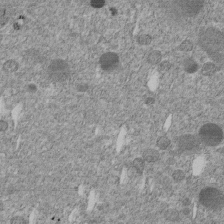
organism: C. elegans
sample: C. elegans embryo early stage